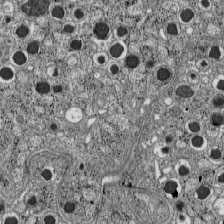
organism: C57BL Mouse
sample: Pancreatic islet